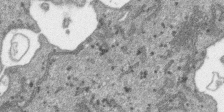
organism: Human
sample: Lung epithelial cells infected with SARS-CoV-2